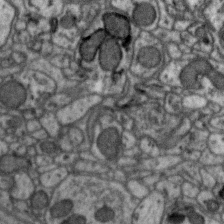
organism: Zebra finch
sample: Brain